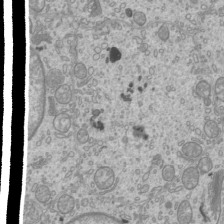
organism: Mouse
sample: Cilia; mouse epididymis